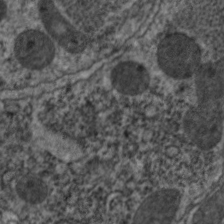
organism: C. elegans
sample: Pharynx